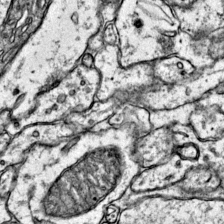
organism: Mouse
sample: Primary visual cortex